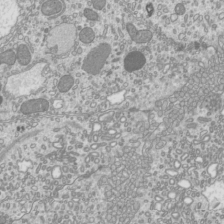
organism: Mouse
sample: Cilia; mouse epididymis